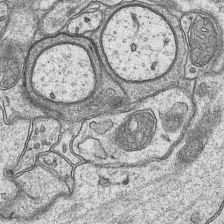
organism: Mouse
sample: CA1 Hippocampus